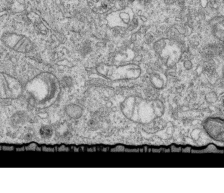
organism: Human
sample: HeLa cell HIV synapse